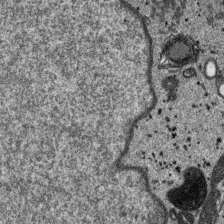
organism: Human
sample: Lung epithelial cells infected with SARS-CoV-2